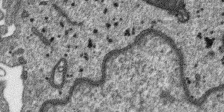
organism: Human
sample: Lung epithelial cells infected with SARS-CoV-2